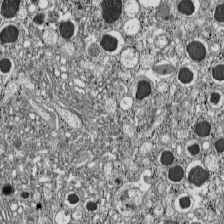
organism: C57BL Mouse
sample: Pancreatic islet